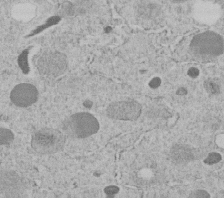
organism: C. elegans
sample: C. elegans embryo early stage